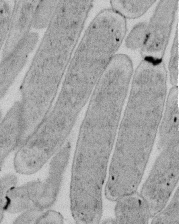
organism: E. coli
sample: Bacterial nucleoid